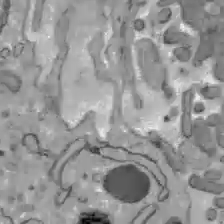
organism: C57BL Mouse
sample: Liver